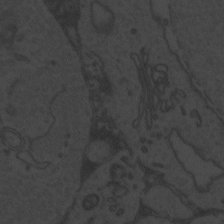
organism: Zebrafish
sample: Macrophage infected with Toxoplasma gondii